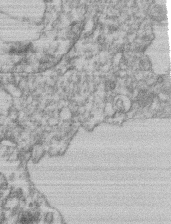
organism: Mouse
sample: T cell stromal cell synapse